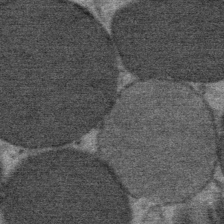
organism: Mouse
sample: Mouse Salivary gland